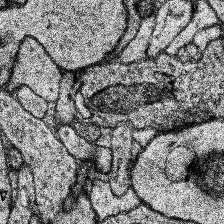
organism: Human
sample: Temporal Lobe